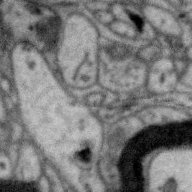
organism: Zebra finch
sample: Brain